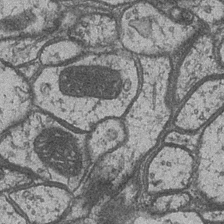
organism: Drosophila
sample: Optic medulla